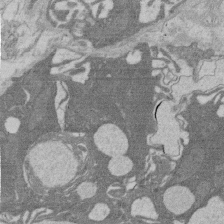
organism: Rat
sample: Salivary granule